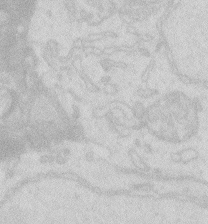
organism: Zebrafish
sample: Macrophage